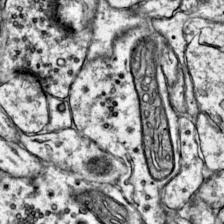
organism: Mouse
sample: Primary visual cortex